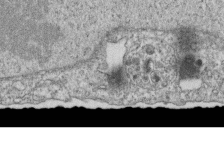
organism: Human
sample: HeLa cell HIV synapse